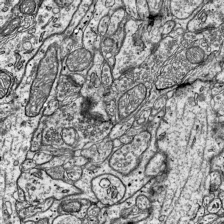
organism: Mouse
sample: Visual Cortex